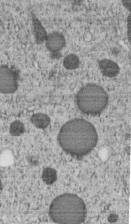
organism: C. elegans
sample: C. elegans embryo early stage